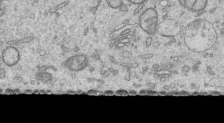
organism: Human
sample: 1205lu cells